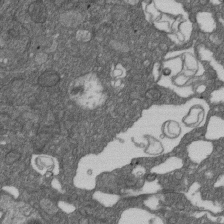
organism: Drosophila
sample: Nephrocyte